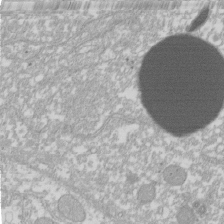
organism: Xenopus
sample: Cilia; centrioles in frog embryo cells